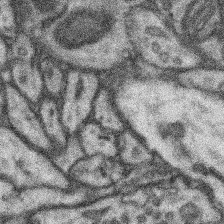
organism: Mouse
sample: Somatosensory cortex neuropil